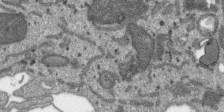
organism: Human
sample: Lung epithelial cells infected with SARS-CoV-2